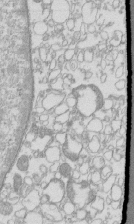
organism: Mouse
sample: Macrophages